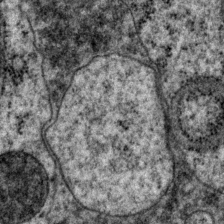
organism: P. pacificus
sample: Pharynx